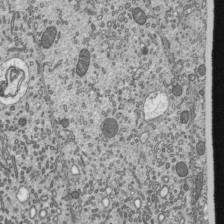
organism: Mouse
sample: Mouse epididymis efferent ductule cilia